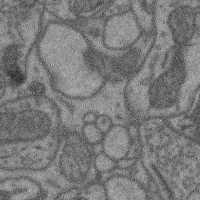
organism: Mouse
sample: Cerebral cortex